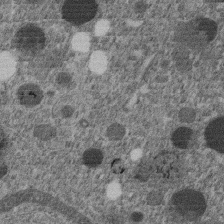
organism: C. elegans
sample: C. elegans embryo early stage